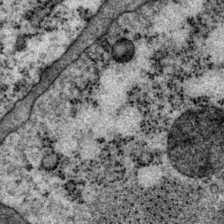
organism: P. pacificus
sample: Pharynx